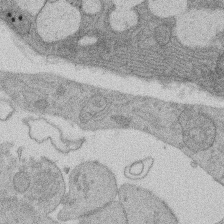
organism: Rat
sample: Salivary granule